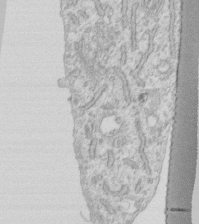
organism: Human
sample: Fibroblast cells